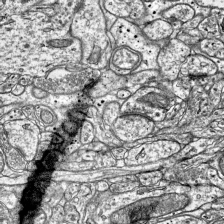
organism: Mouse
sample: Visual Cortex